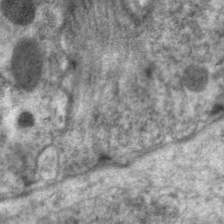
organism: C. elegans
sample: Pharynx